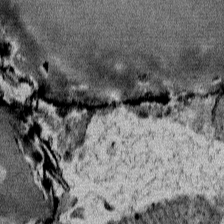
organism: Mouse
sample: Mouse Salivary gland